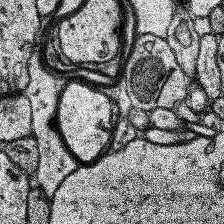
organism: Human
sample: Temporal Lobe